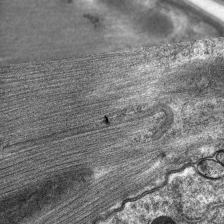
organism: C. elegans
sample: Pharynx